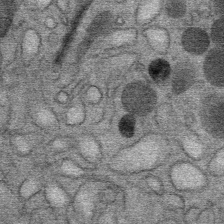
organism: Mouse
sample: Mouse Salivary gland